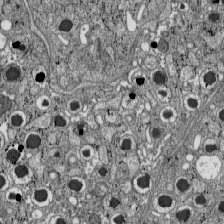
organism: C57BL Mouse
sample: Pancreatic islet